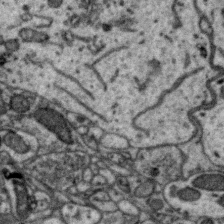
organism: Zebra finch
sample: Brain